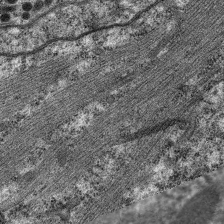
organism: C. elegans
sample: Pharynx